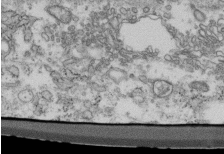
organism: Mouse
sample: Cilia; retinal pigment epithelium